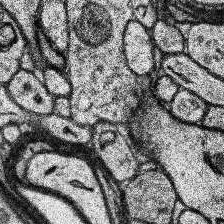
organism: Human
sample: Temporal Lobe